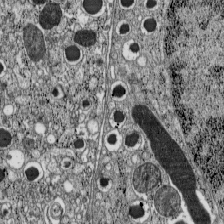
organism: C57BL Mouse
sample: Pancreatic islet